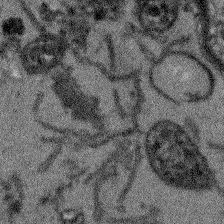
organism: Arabidopsis thaliana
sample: Root tip